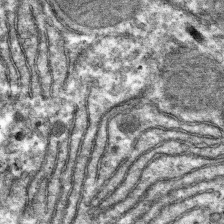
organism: Mouse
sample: Mouse hepatocytes